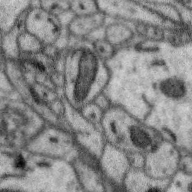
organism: Zebra finch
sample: Brain